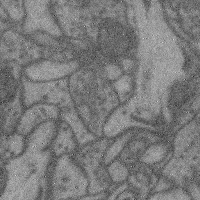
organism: Mouse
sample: Cerebral cortex